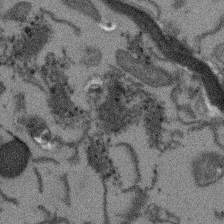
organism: Arabidopsis thaliana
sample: Root tip